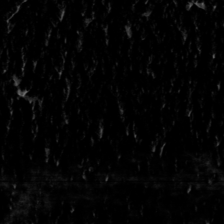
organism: Toxoplasma gondii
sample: Parasites in a vacuole inside a host cell